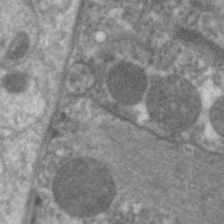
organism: C. elegans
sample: Pharynx